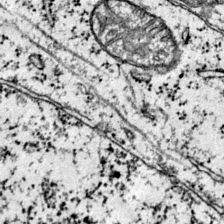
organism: Mouse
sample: Primary visual cortex